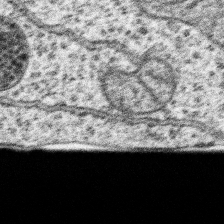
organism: Human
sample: HeLa cells